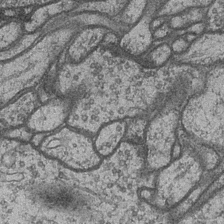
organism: Drosophila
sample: Optic medulla